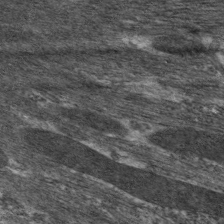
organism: C. elegans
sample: Pharynx